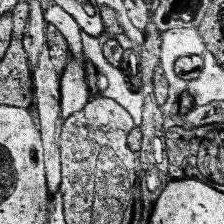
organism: Human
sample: Temporal Lobe